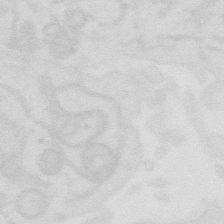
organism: Human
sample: HeLa cells